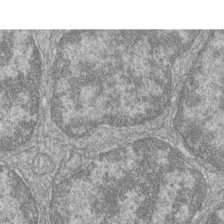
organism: Zebrafish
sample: Cilia; retinal pigment epithelium